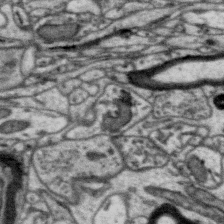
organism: Zebra finch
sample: Brain